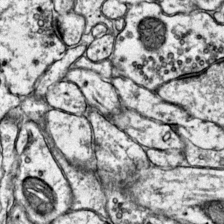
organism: Mouse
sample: Primary visual cortex